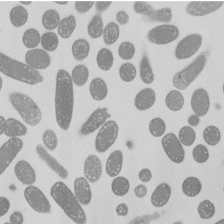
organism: E. coli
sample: Bacterial nucleoid